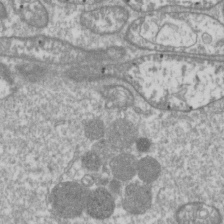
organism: Drosophila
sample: Cell division; meiosis; drosophila spermatocytes